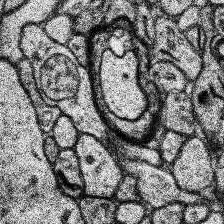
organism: Human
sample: Temporal Lobe